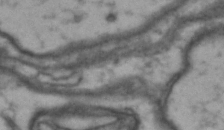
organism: Drosophila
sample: Brain